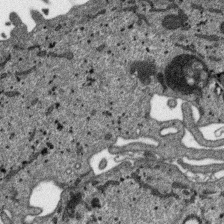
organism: Human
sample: Lung epithelial cells infected with SARS-CoV-2